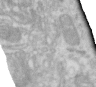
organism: Human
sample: Centriole in RPE cells